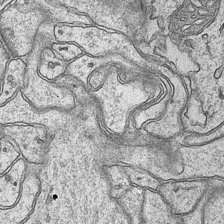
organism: Mouse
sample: CA1 Hippocampus